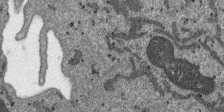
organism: Human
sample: Lung epithelial cells infected with SARS-CoV-2